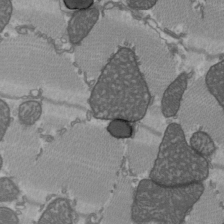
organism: C57BL Mouse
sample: Heart